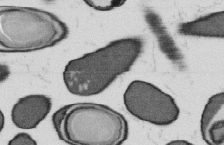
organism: B. subtilis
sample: Bacterial spore